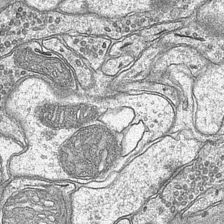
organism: Mouse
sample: CA1 Hippocampus